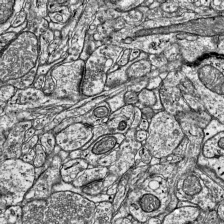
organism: Mouse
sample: Visual Cortex